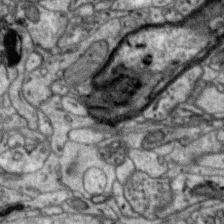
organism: Zebra finch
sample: Brain